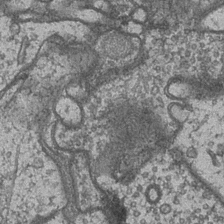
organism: Drosophila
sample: Optic medulla